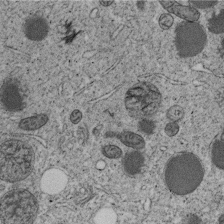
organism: C. elegans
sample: C. elegans embryo early stage